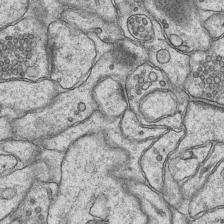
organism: Mouse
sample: CA1 Hippocampus